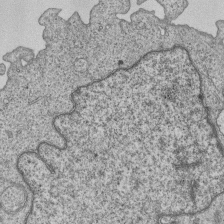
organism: Human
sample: MDA-MB-231 cells